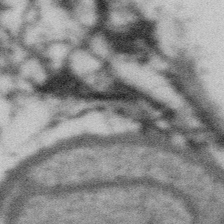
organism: Gemmata obscuriglobus